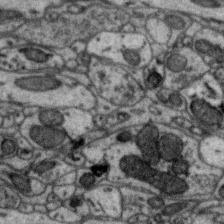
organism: Zebra finch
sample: Brain